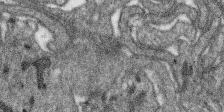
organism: Human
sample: Lung epithelial cells infected with SARS-CoV-2